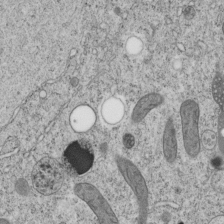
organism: C. elegans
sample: C. elegans embryo early stage